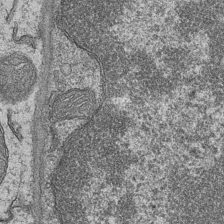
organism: Mouse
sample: CA1 Hippocampus